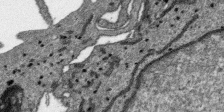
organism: Human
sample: Lung epithelial cells, uninfected (mock) control